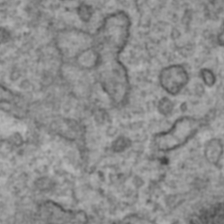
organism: Human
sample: Blood